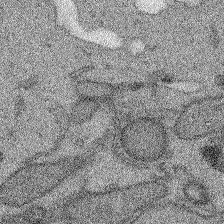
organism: Human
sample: HeLa cells